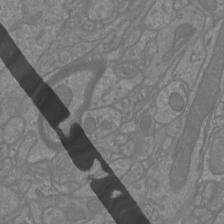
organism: Mouse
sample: Cortical neurons